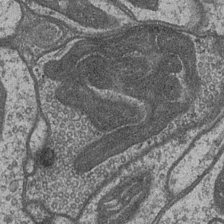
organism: Drosophila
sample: Optic medulla